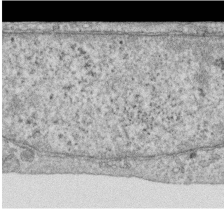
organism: Human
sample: Centriole in RPE cells